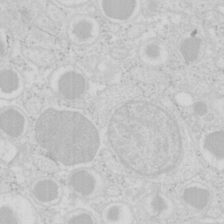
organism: Mouse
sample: Pancreas